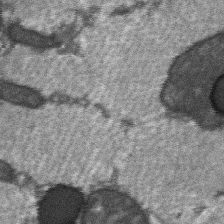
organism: C57BL Mouse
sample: Soleus